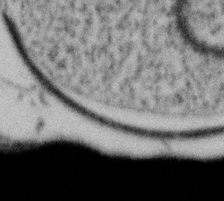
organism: Gemmata obscuriglobus